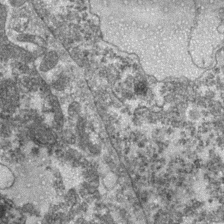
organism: Zebrafish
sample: Zebrafish embryo